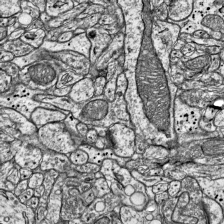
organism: Mouse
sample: Visual Cortex